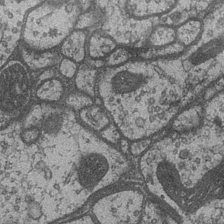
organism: Drosophila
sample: Optic medulla